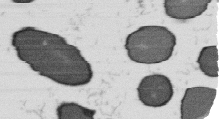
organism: B. subtilis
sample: Bacterial spore